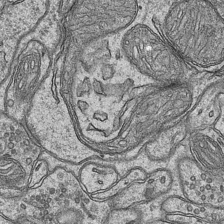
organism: Mouse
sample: CA1 Hippocampus